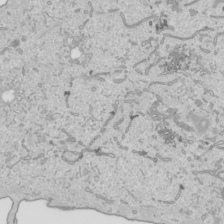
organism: Human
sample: Mitochondria in HCT116 cells